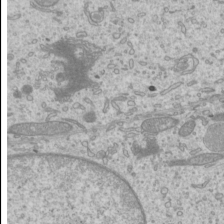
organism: Mouse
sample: Cilia; mouse epididymis